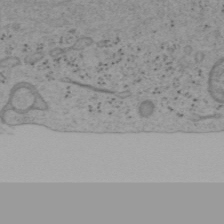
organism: Human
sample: HeLa cells